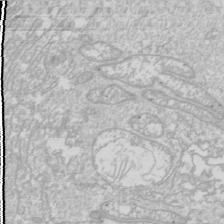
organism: Drosophila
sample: Cell division; meiosis; drosophila spermatocytes